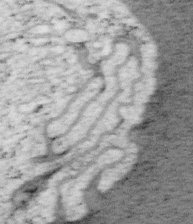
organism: Mouse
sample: OT-I killer T cells with ID8 ovarian cancer cells